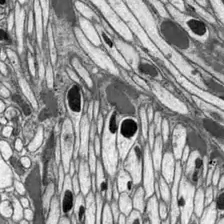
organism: Drosophila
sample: Optic lobe